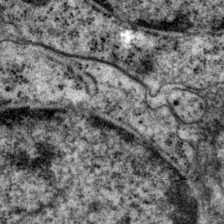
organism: P. pacificus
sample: Pharynx